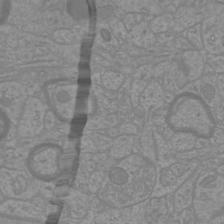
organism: Mouse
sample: Cortical neurons